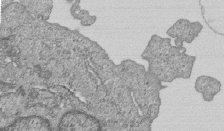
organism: Human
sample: MDA-MB-231 cells